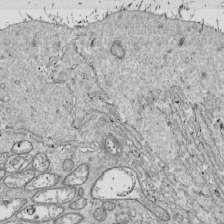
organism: Drosophila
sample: Cell division; meiosis; drosophila spermatocytes